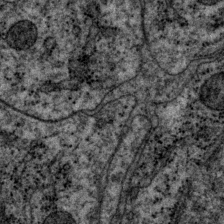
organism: P. pacificus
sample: Pharynx